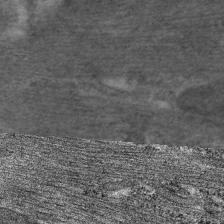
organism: C. elegans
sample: Pharynx